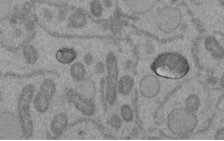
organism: C. elegans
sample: C. elegans embryo early stage